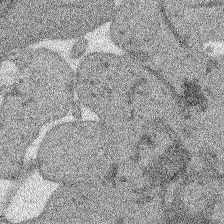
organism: Human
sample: HeLa cells